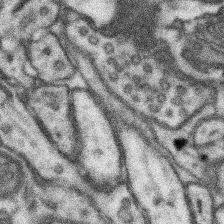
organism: Mouse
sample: Somatosensory cortex neuropil